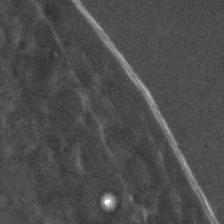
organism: C. elegans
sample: C. elegans embryo